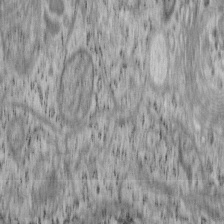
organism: Human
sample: HeLa cells